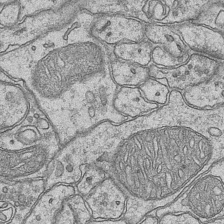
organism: Mouse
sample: CA1 Hippocampus